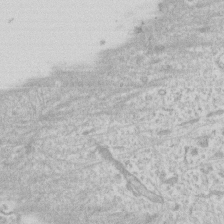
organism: Human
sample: Fibroblast cells